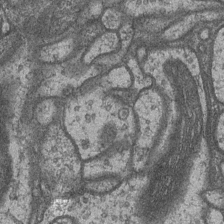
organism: Drosophila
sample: Optic medulla